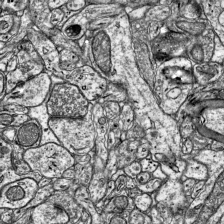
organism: Mouse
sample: Visual Cortex